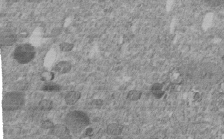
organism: C. elegans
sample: C. elegans embryo early stage